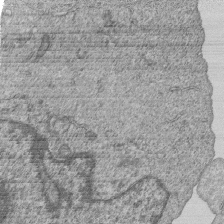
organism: Human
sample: MDA-MB-231 cells